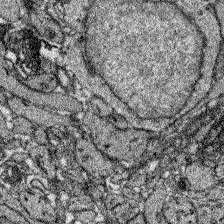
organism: Zebrafish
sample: Larval olfactory bulb